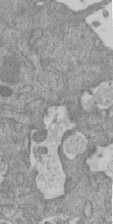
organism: Mouse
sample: ED-1 cell nuclei; centrioles